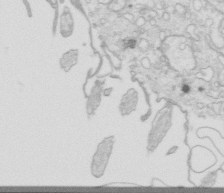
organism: Mouse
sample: Multiciliated cells